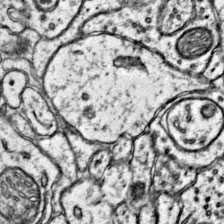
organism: Mouse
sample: Primary visual cortex